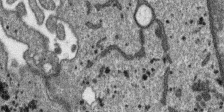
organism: Human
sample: Lung epithelial cells infected with SARS-CoV-2